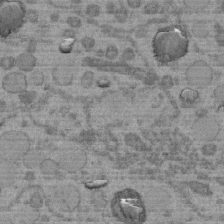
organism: C. elegans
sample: C. elegans embryo early stage